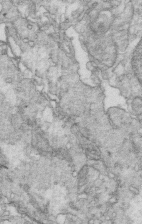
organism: Mouse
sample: Multiciliated cells